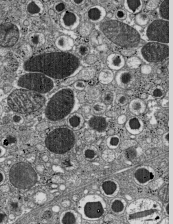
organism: C57BL Mouse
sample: Pancreatic islet